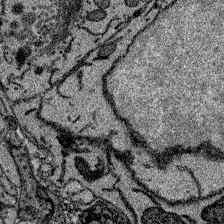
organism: Zebrafish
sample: Larval olfactory bulb